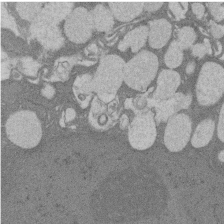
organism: Rat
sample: Salivary granule